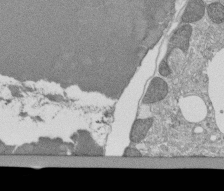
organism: Tetrahymena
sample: Cilia in tetrahymena